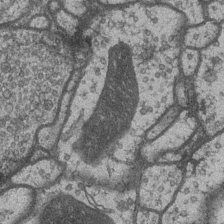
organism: Drosophila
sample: Optic medulla